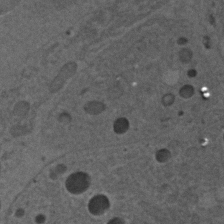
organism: C. elegans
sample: C. elegans embryo